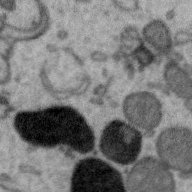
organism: Zebra finch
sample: Brain